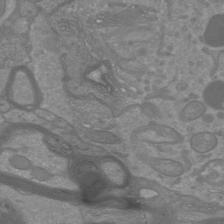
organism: Mouse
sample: Cortical neurons